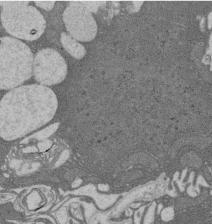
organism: Rat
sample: Salivary granule